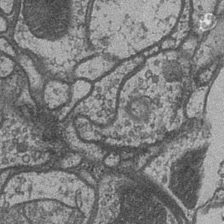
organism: Drosophila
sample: Optic medulla